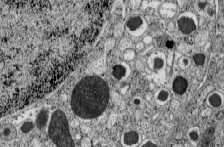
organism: C57BL Mouse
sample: Pancreatic islet